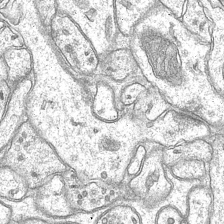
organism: Mouse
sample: CA1 Hippocampus